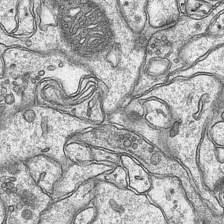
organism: Mouse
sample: CA1 Hippocampus